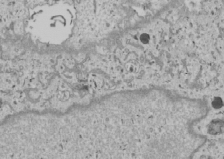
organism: Human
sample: Mitochondria in U2OS cells